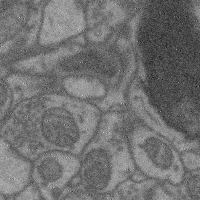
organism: Mouse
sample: Cerebral cortex